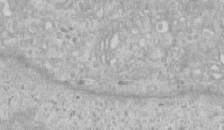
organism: Human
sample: Centriole in RPE cells